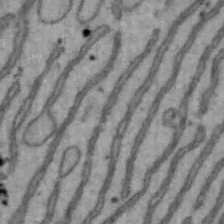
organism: Mouse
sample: Liver